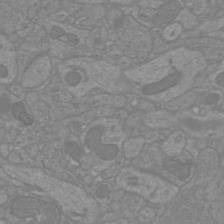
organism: Mouse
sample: Cortical neurons